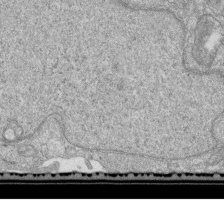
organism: Human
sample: HeLa cell HIV synapse